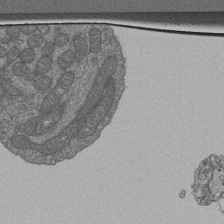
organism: Human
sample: Retinal organoid Rod and Cone cells